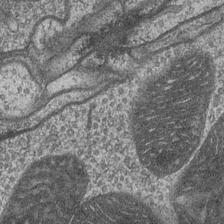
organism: Drosophila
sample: Optic medulla